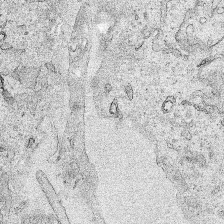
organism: Human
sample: Mitochondria in HCT116 cells